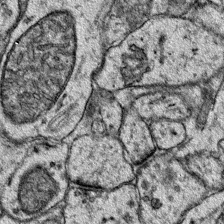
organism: Mouse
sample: Primary visual cortex